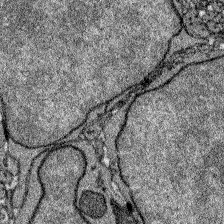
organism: Zebrafish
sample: Larval olfactory bulb